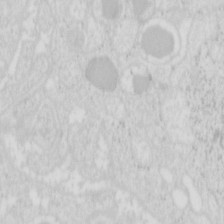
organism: Mouse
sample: Pancreas